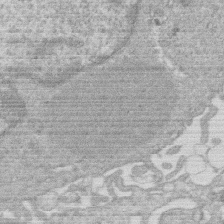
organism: Human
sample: Macrophage cells